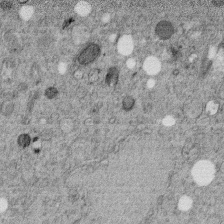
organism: C. elegans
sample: C. elegans embryo early stage